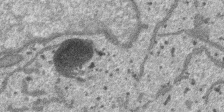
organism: Human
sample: Lung epithelial cells infected with SARS-CoV-2